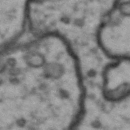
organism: Drosophila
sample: Brain